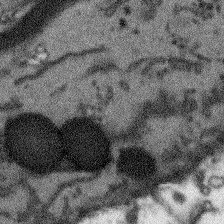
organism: Arabidopsis thaliana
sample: Root tip